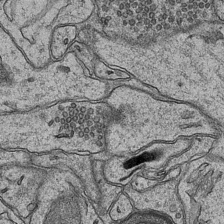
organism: Mouse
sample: CA1 Hippocampus